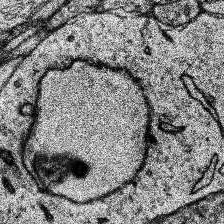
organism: Human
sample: Temporal Lobe